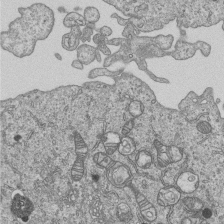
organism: Human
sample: MDA-MB-231 cells